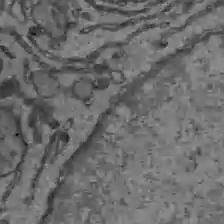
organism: C57BL Mouse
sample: Liver